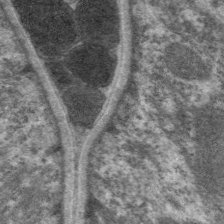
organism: C. elegans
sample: Pharynx